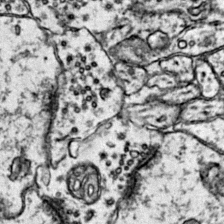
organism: Mouse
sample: Primary visual cortex